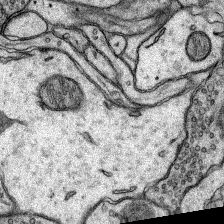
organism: Rat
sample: Hippocampus